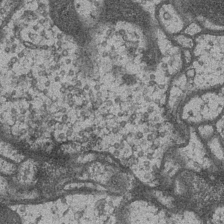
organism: Drosophila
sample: Optic medulla